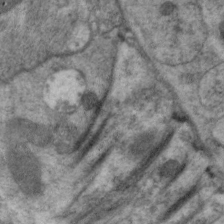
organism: C. elegans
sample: Pharynx